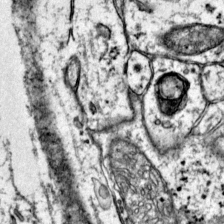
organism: Mouse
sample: Primary visual cortex